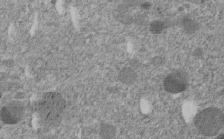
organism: C. elegans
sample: C. elegans embryo early stage